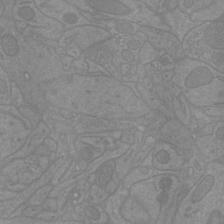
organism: Mouse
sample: Cortical neurons